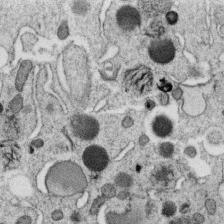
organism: C. elegans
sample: C. elegans oocyte; sperm cells